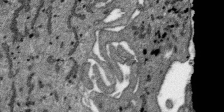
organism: Human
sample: Lung epithelial cells, uninfected (mock) control